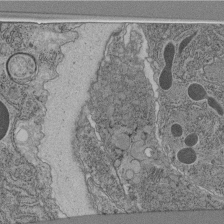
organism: C. elegans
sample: C. elegans pharynx